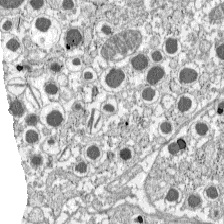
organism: C57BL Mouse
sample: Pancreatic islet